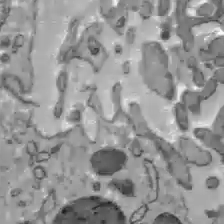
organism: C57BL Mouse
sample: Liver